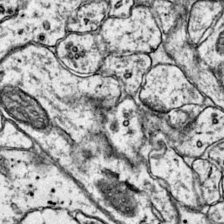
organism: Mouse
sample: Primary visual cortex